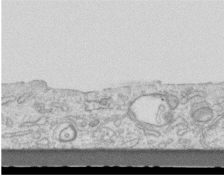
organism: Mouse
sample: Centriole in ependymal cells